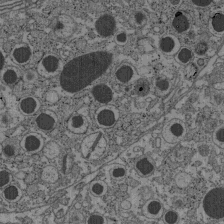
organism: C57BL Mouse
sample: Pancreatic islet